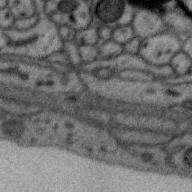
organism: Zebra finch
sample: Brain